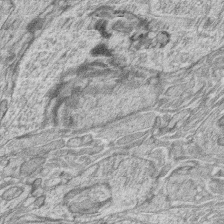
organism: Zebrafish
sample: synaptic ribbons in rod cells and cone cells